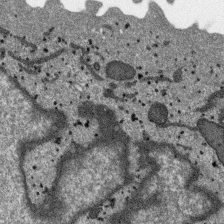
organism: Human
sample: Lung epithelial cells, uninfected (mock) control